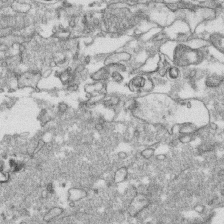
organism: Human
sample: CRL-1474